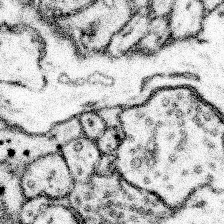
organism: Mouse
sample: Somatosensory cortex neuropil